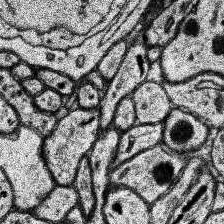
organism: Human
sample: Temporal Lobe